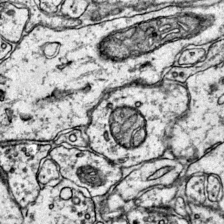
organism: Mouse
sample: Primary visual cortex